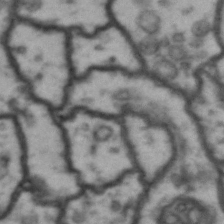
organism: Drosophila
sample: Brain